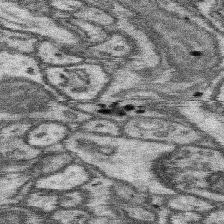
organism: Mouse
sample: Somatosensory cortex neuropil